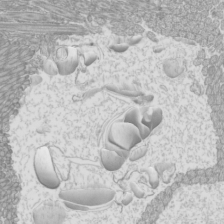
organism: Mouse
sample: Cilia; mouse epididymis